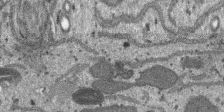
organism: Human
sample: Lung epithelial cells infected with SARS-CoV-2